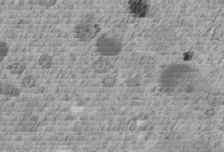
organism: C. elegans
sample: C. elegans embryo early stage